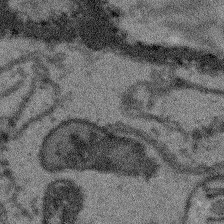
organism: Arabidopsis thaliana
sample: Root tip